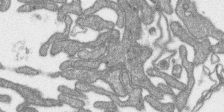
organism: Human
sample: Lung epithelial cells infected with SARS-CoV-2